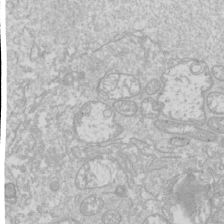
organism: Drosophila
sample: Cell division; meiosis; drosophila spermatocytes